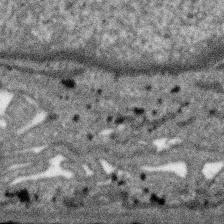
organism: Human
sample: Lung epithelial cells infected with SARS-CoV-2